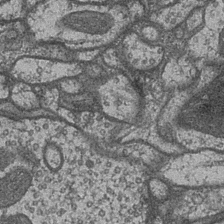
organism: Drosophila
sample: Optic medulla